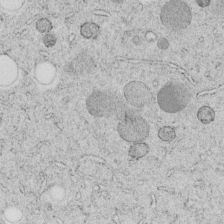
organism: C. elegans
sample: C. elegans embryo early stage